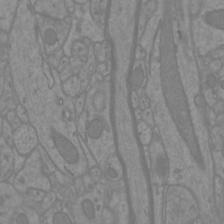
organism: Mouse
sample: Cortical neurons